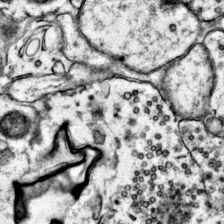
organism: Mouse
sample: Primary visual cortex